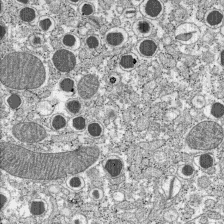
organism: C57BL Mouse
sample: Pancreatic islet